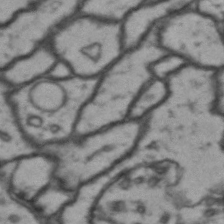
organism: Drosophila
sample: Brain